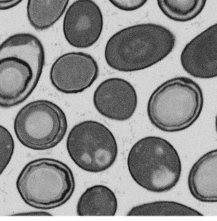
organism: B. subtilis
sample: Bacterial spore